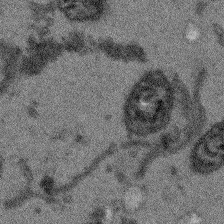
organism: Arabidopsis thaliana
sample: Root tip